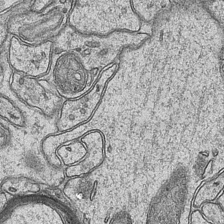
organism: Mouse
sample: CA1 Hippocampus